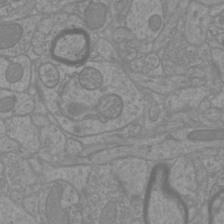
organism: Mouse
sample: Cortical neurons